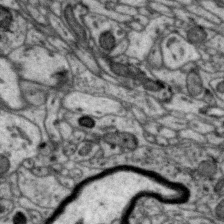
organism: Zebra finch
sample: Brain